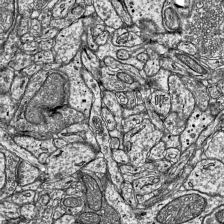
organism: Mouse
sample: Visual Cortex